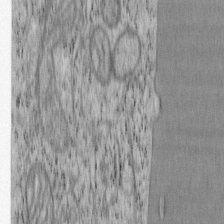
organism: Human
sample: HeLa cells